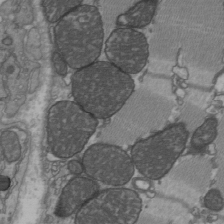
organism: C57BL Mouse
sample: Heart